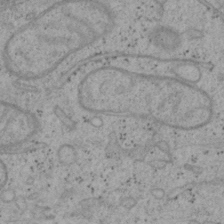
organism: Human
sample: HeLa cells